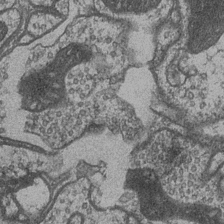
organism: Drosophila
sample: Optic medulla